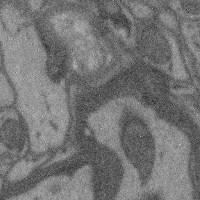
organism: Mouse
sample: Cerebral cortex